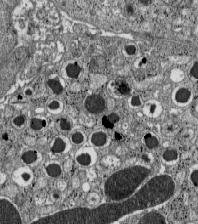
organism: C57BL Mouse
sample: Pancreatic islet